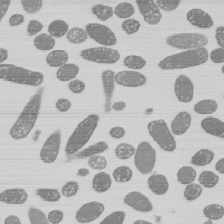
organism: E. coli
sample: Bacterial nucleoid